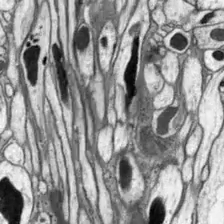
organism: Drosophila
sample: Optic lobe